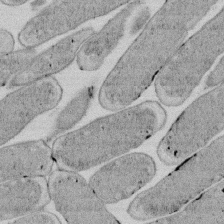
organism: E. coli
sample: Bacterial nucleoid